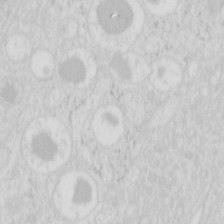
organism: Mouse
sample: Pancreas